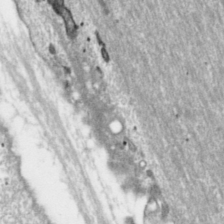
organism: Toxoplasma gondii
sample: Parasites in a vacuole inside a host cell